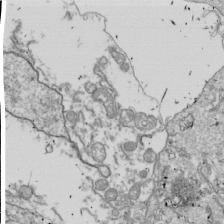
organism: Drosophila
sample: Cell division; meiosis; drosophila spermatocytes